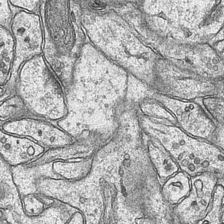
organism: Mouse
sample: CA1 Hippocampus